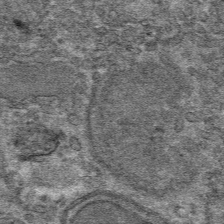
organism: Mouse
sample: Mouse hepatocytes